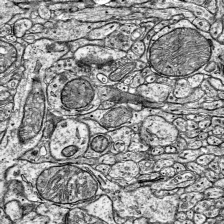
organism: Mouse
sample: Visual Cortex